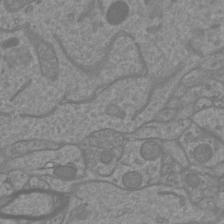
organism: Mouse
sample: Cortical neurons